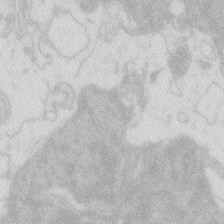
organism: Zebrafish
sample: Macrophage